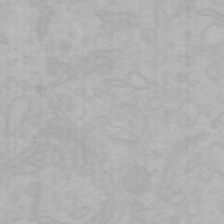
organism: Mouse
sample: Choroid plexus